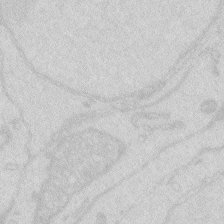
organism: Zebrafish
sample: Macrophage